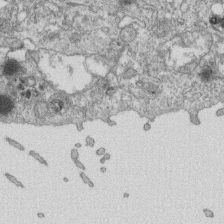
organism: Human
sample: HeLa cell HIV synapse